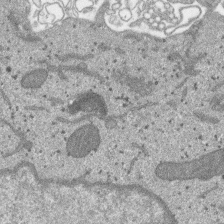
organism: Human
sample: Lung epithelial cells infected with SARS-CoV-2